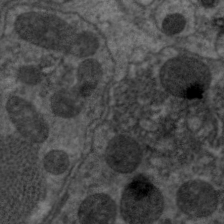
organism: C. elegans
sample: Pharynx